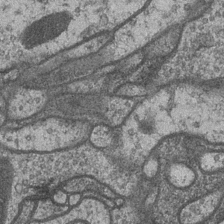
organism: Drosophila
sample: Optic medulla